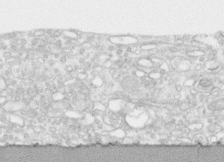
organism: Human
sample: CRL-1474